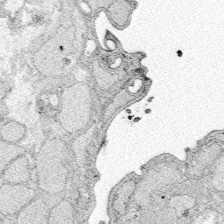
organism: Zebrafish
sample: Whole-Brain